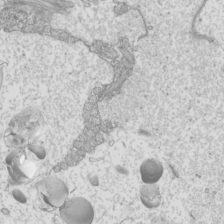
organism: Mouse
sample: Cilia; mouse epididymis